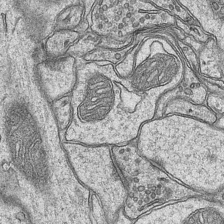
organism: Mouse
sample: CA1 Hippocampus